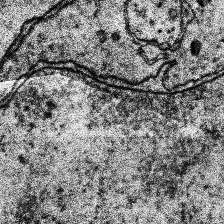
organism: Human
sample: Temporal Lobe